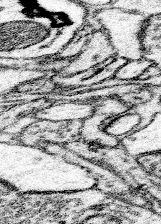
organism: Mouse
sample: Somatosensory cortex neuropil